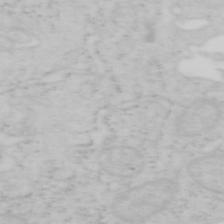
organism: Mouse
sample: OT-I killer T cells with ID8 ovarian cancer cells